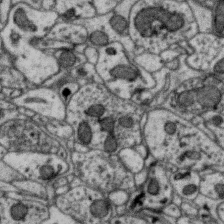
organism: Zebra finch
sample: Brain